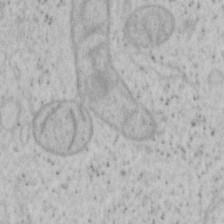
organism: Human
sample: HeLa cells